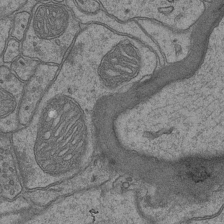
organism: Mouse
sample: CA1 Hippocampus